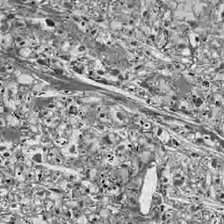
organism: Drosophila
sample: Optic lobe